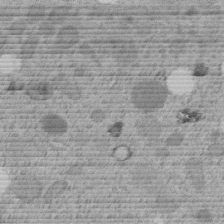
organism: C. elegans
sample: C. elegans embryo early stage